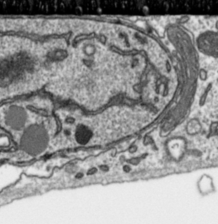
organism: Toxoplasma gondii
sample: Parasites in a vacuole inside a host cell